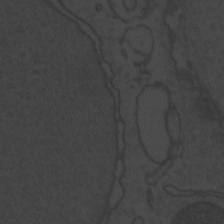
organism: Zebrafish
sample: Macrophage infected with Toxoplasma gondii